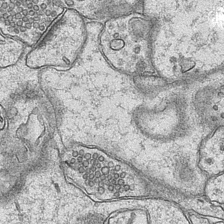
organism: Mouse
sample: CA1 Hippocampus